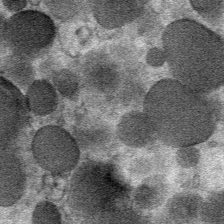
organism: Mouse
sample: Mouse Salivary gland